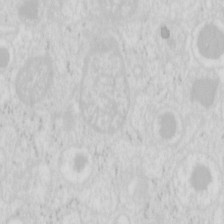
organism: Mouse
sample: Pancreas